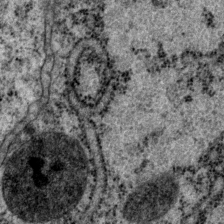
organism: P. pacificus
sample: Pharynx